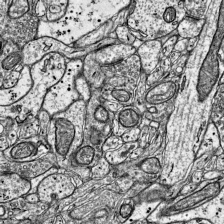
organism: Mouse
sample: Visual Cortex